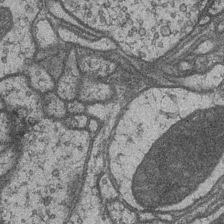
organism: Drosophila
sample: Optic medulla